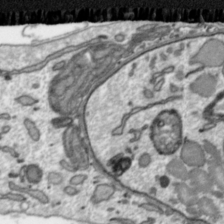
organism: Toxoplasma gondii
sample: Parasites in a vacuole inside a host cell